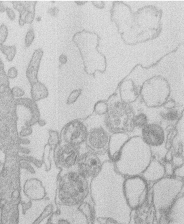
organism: Human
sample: Macrophage cells